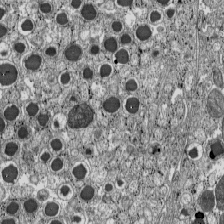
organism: C57BL Mouse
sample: Pancreatic islet